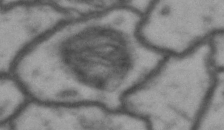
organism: Drosophila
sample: Brain